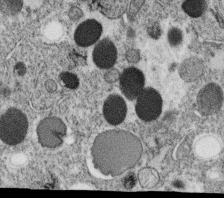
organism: C. elegans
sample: C. elegans oocyte; sperm cells